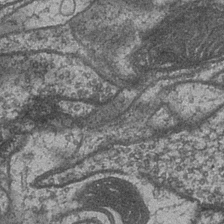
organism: Drosophila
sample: Optic medulla